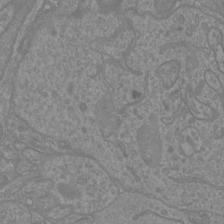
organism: Mouse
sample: Cortical neurons